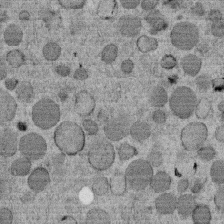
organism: C. elegans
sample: C. elegans embryo early stage